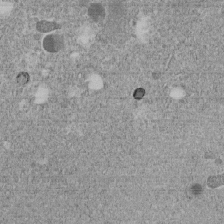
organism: C. elegans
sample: C. elegans embryo early stage